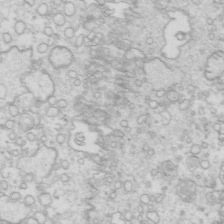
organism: Mouse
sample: Multiciliated cells